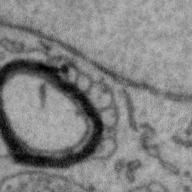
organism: Zebra finch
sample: Brain